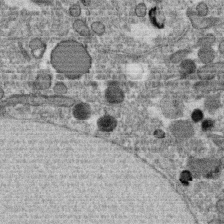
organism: C. elegans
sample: C. elegans oocyte; sperm cells